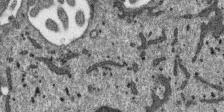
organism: Human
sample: Lung epithelial cells infected with SARS-CoV-2